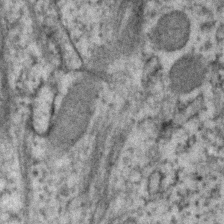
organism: Human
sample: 1205lu cells